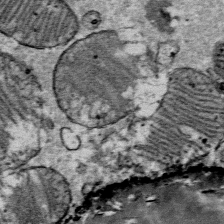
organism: Mouse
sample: Mouse Salivary gland